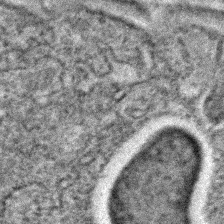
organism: C. elegans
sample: C. elegans embryo